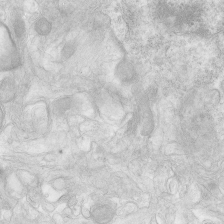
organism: Human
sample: Neocortex